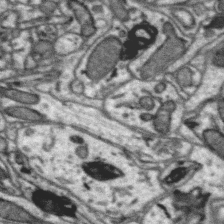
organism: Zebra finch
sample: Brain